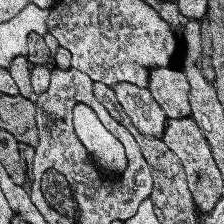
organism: Human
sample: Temporal Lobe